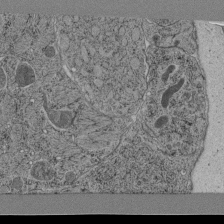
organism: C. elegans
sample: C. elegans pharynx